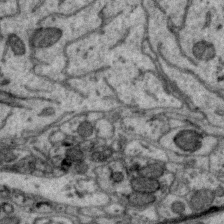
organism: Zebra finch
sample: Brain